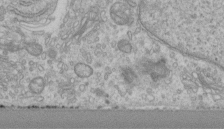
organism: Human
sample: Centriole in RPE cells